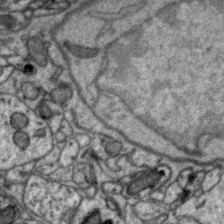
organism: Zebra finch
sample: Brain